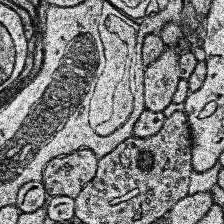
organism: Human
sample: Temporal Lobe